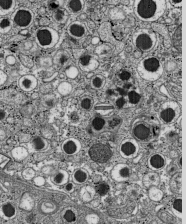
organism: C57BL Mouse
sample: Pancreatic islet